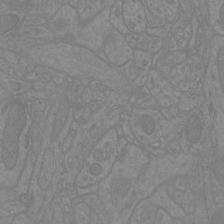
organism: Mouse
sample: Cortical neurons